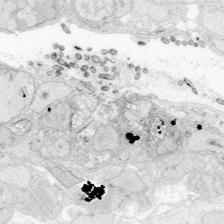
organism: Zebrafish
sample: Whole-Brain